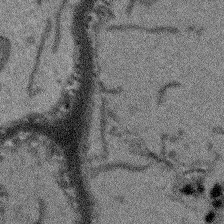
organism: Arabidopsis thaliana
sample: Root tip